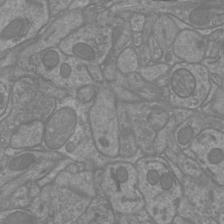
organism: Mouse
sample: Cortical neurons